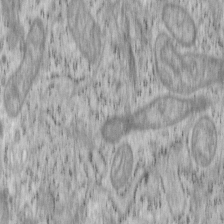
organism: Human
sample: HeLa cells